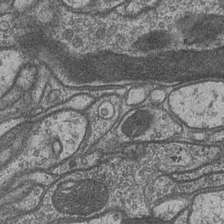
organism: Drosophila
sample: Optic medulla